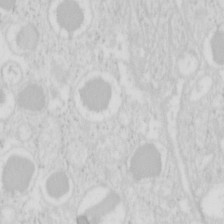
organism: Mouse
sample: Pancreas